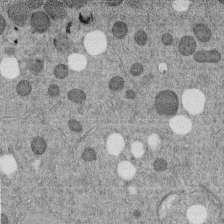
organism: C. elegans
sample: C. elegans embryo early stage